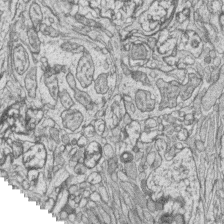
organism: Zebrafish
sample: synaptic ribbons in rod cells and cone cells